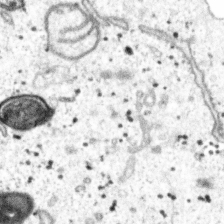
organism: Human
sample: HeLa cells